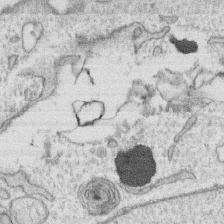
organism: Human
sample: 1205lu cells